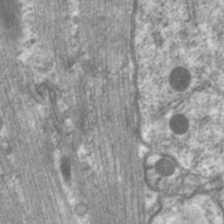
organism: C. elegans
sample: Pharynx